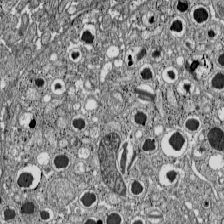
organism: C57BL Mouse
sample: Pancreatic islet